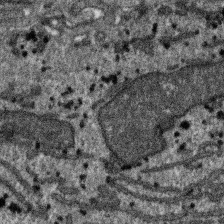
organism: Human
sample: Lung epithelial cells infected with SARS-CoV-2